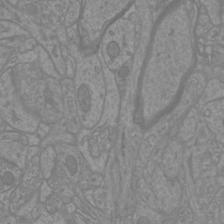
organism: Mouse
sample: Cortical neurons